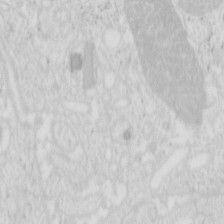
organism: Mouse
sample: Pancreas